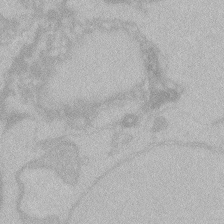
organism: Zebrafish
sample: Macrophage infected with Toxoplasma gondii